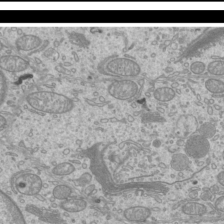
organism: Mouse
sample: Cilia; mouse epididymis